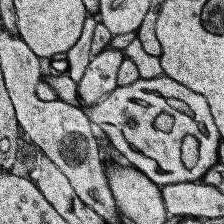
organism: Human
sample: Temporal Lobe